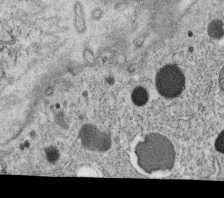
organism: C. elegans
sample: C. elegans oocyte; sperm cells